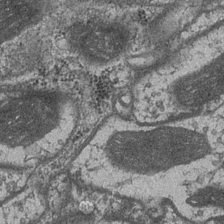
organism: Drosophila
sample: Optic medulla